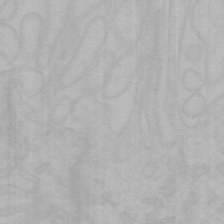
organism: Mouse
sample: Choroid plexus